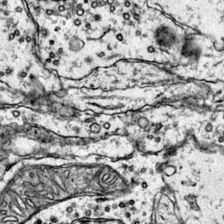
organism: Mouse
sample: Primary visual cortex